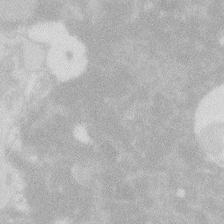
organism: Zebrafish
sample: Macrophage